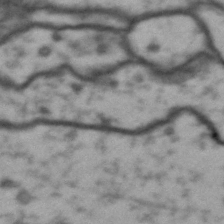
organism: Drosophila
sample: Brain